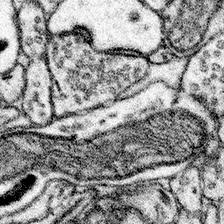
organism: Mouse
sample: Somatosensory cortex neuropil